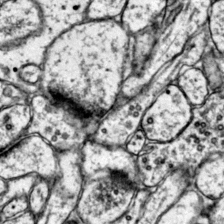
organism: Mouse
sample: Primary visual cortex